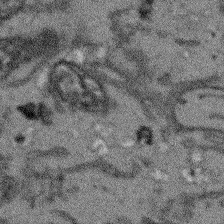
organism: Arabidopsis thaliana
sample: Root tip